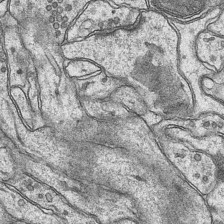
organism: Mouse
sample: CA1 Hippocampus